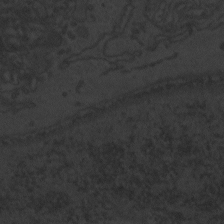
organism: Zebrafish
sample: Macrophage infected with Toxoplasma gondii